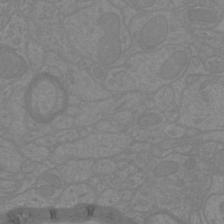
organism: Mouse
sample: Cortical neurons